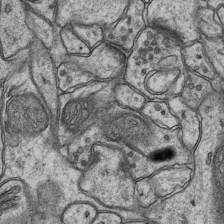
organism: Mouse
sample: CA1 Hippocampus